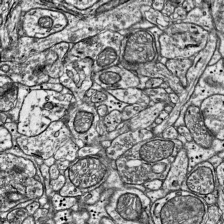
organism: Mouse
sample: Visual Cortex